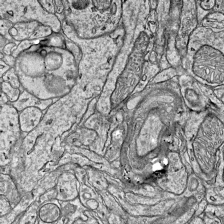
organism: Mouse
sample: Visual Cortex